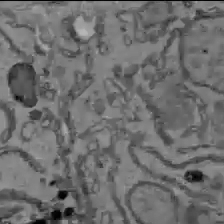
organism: C57BL Mouse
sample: Liver